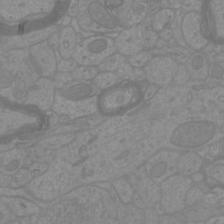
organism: Mouse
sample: Cortical neurons